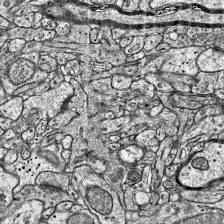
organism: Mouse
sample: Visual Cortex